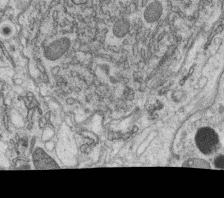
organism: C. elegans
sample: C. elegans oocyte; sperm cells